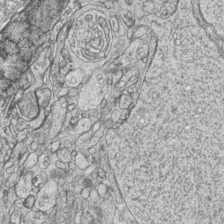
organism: Zebrafish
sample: synaptic ribbons in rod cells and cone cells